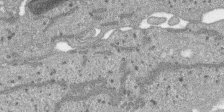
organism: Human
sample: Lung epithelial cells infected with SARS-CoV-2